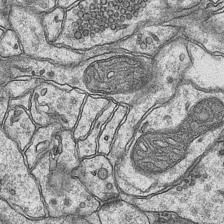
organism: Mouse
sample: CA1 Hippocampus